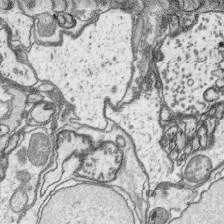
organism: Platynereis dumerilii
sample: Parapodia